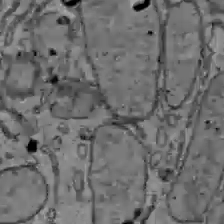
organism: C57BL Mouse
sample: Liver